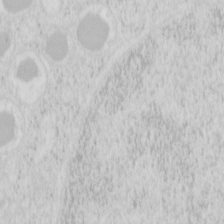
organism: Mouse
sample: Pancreas